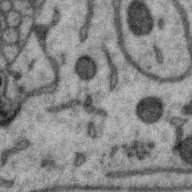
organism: Zebra finch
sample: Brain